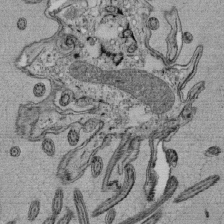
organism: Tetrahymena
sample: Cilia in tetrahymena